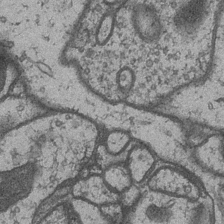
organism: Drosophila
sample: Optic medulla